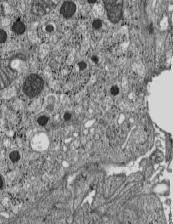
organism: C57BL Mouse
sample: Pancreatic islet